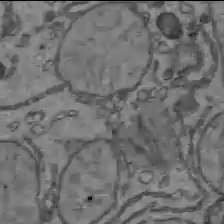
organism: C57BL Mouse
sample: Liver